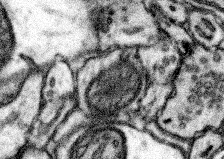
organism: Mouse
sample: Somatosensory cortex neuropil